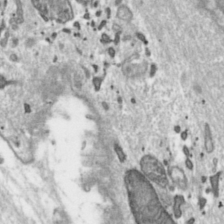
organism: Toxoplasma gondii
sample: Parasites in a vacuole inside a host cell